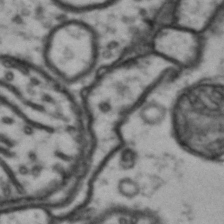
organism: Drosophila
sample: Brain